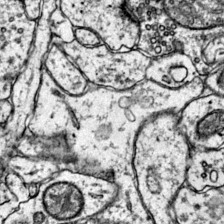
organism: Mouse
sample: Primary visual cortex